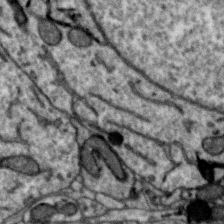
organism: Zebra finch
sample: Brain